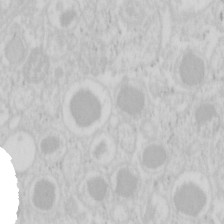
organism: Mouse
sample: Pancreas